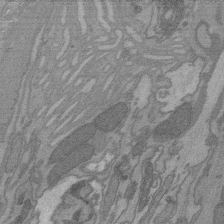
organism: C. elegans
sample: AFD neurons C. elegans